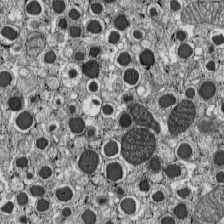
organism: C57BL Mouse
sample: Pancreatic islet